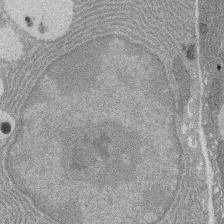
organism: Rat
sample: Salivary granule